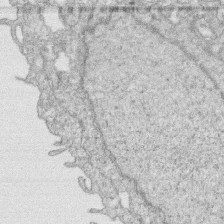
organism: Human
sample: HeLa cell HIV synapse